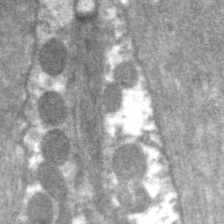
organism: C. elegans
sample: Pharynx